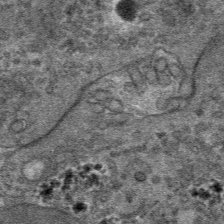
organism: Mouse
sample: Mouse hepatocytes